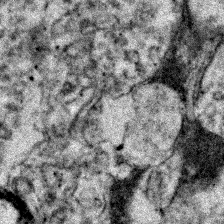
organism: Zebrafish